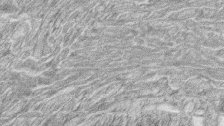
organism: Zebrafish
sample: synaptic ribbons in rod cells and cone cells